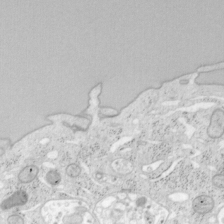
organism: Mouse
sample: OT-I killer T cells with ID8 ovarian cancer cells